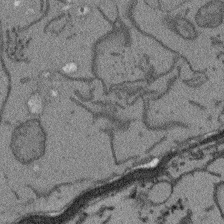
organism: Arabidopsis thaliana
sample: Root tip